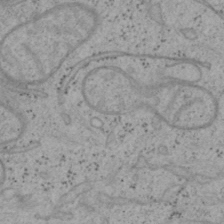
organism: Human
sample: HeLa cells